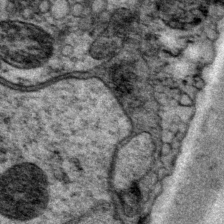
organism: P. pacificus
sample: Pharynx